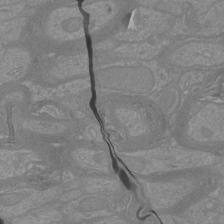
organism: Mouse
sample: Cortical neurons